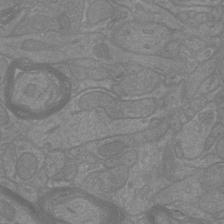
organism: Mouse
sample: Cortical neurons